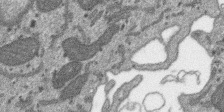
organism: Human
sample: Lung epithelial cells infected with SARS-CoV-2